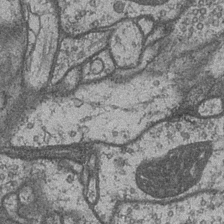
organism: Drosophila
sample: Optic medulla